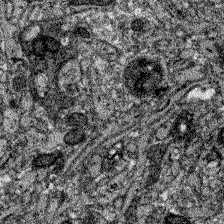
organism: Zebrafish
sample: Larval olfactory bulb